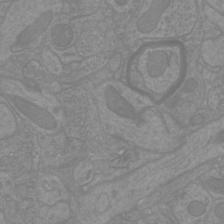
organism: Mouse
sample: Cortical neurons